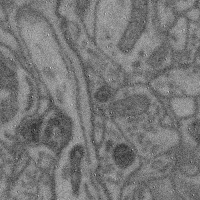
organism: Mouse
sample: Cerebral cortex